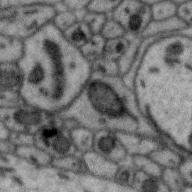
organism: Zebra finch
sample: Brain